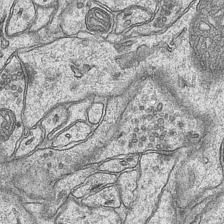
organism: Mouse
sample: CA1 Hippocampus